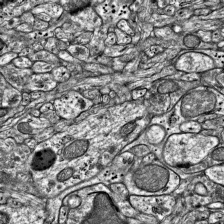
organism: Mouse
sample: Visual Cortex